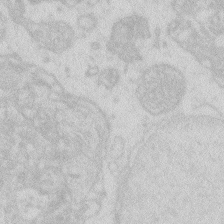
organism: Zebrafish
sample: Macrophage